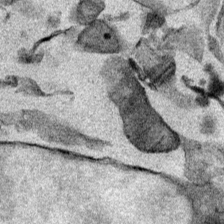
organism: Mouse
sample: Cancer cell death in ED-1 cells